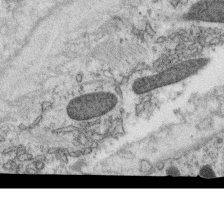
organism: C. elegans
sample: C. elegans oocyte; sperm cells